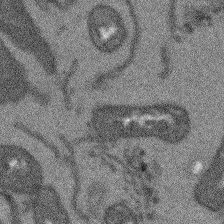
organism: Arabidopsis thaliana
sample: Root tip